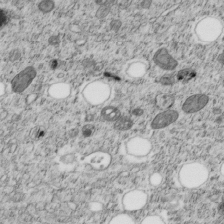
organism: C. elegans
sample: C. elegans embryo early stage